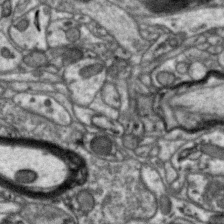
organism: Zebra finch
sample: Brain